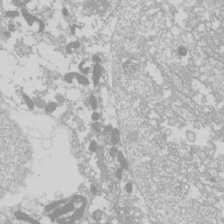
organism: Drosophila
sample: Cell division; meiosis; drosophila spermatocytes